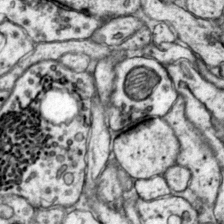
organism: Mouse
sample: Primary visual cortex